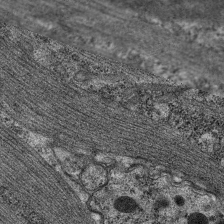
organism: C. elegans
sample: Pharynx